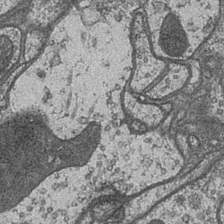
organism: Drosophila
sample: Optic medulla